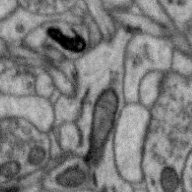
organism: Zebra finch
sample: Brain